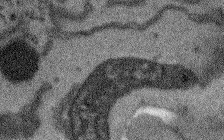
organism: Arabidopsis thaliana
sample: Root tip